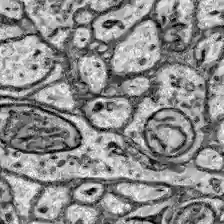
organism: Zebrafish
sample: Brain